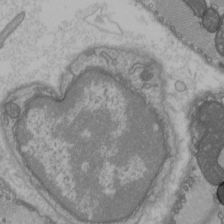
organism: C57BL Mouse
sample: Heart